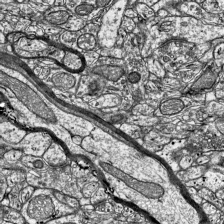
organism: Mouse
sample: Visual Cortex